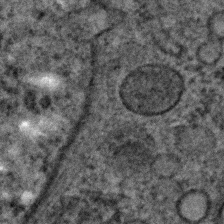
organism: C. elegans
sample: C. elegans embryo